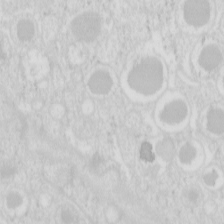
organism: Mouse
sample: Pancreas